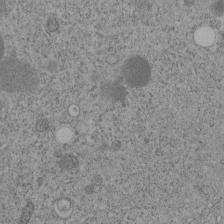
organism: C. elegans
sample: C. elegans embryo early stage